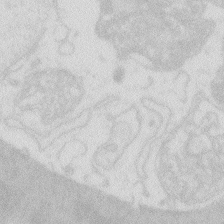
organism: Zebrafish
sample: Macrophage